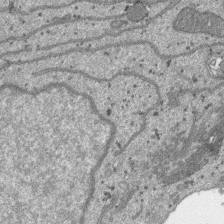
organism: Human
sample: Lung epithelial cells infected with SARS-CoV-2